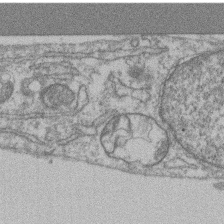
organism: Mouse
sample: T cell stromal cell synapse